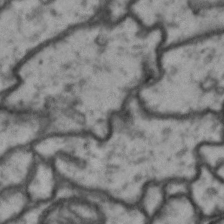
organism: Drosophila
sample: Brain